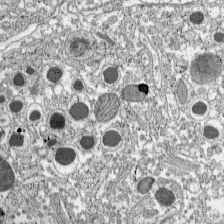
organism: C57BL Mouse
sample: Pancreatic islet